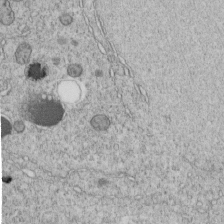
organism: C. elegans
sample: C. elegans embryo early stage